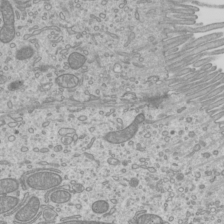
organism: Mouse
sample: Cilia; mouse epididymis